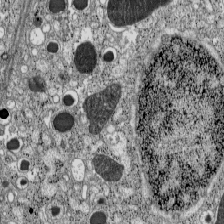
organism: C57BL Mouse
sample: Pancreatic islet